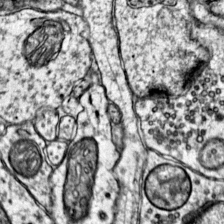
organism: Mouse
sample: Primary visual cortex